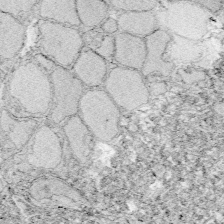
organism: Zebrafish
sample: Whole-Brain